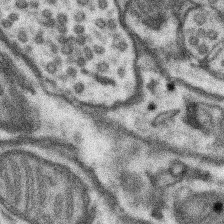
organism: Mouse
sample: Somatosensory cortex neuropil